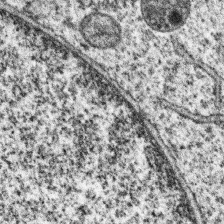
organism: Human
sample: HeLa cells